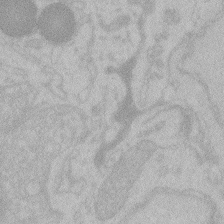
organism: Zebrafish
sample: Macrophage infected with Toxoplasma gondii